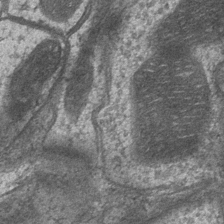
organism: Drosophila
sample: Optic medulla